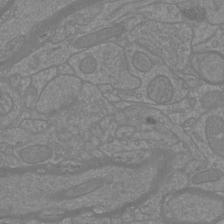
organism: Mouse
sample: Cortical neurons